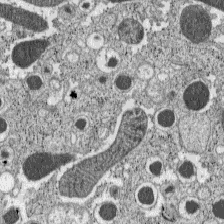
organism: C57BL Mouse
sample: Pancreatic islet